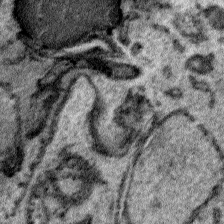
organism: Plasmodium falciparum